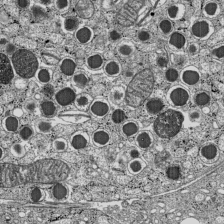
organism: C57BL Mouse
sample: Pancreatic islet